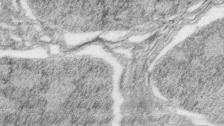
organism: Zebrafish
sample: synaptic ribbons in rod cells and cone cells